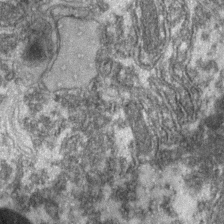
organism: Zebrafish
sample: Zebrafish embryo